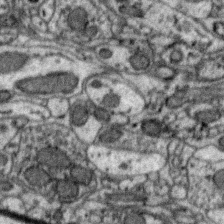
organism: Zebra finch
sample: Brain